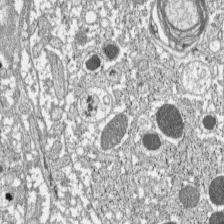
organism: C57BL Mouse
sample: Pancreatic islet